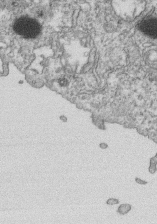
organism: Human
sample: HeLa cell HIV synapse